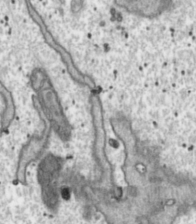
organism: Toxoplasma gondii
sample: Parasites in a vacuole inside a host cell